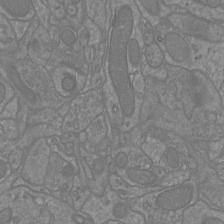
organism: Mouse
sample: Cortical neurons